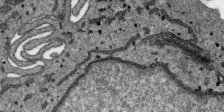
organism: Human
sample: Lung epithelial cells, uninfected (mock) control